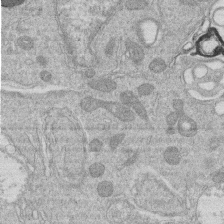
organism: Human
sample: Macrophage cells